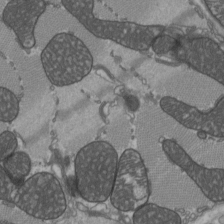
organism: C57BL Mouse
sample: Heart